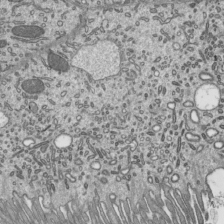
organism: Mouse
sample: Mouse epididymis efferent ductule cilia